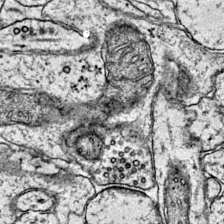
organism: Mouse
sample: Primary visual cortex